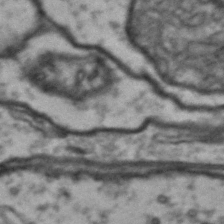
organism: Drosophila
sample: Brain